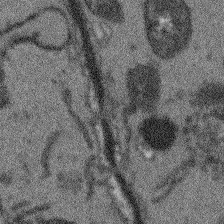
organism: Arabidopsis thaliana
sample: Root tip